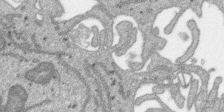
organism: Human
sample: Lung epithelial cells infected with SARS-CoV-2